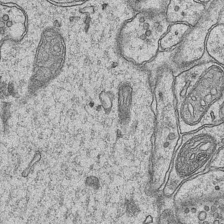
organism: Mouse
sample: CA1 Hippocampus